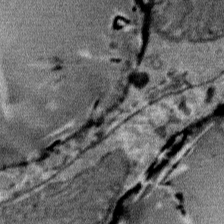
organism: Mouse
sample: Mouse Salivary gland